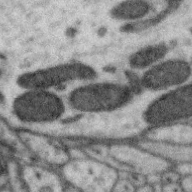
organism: Zebra finch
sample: Brain